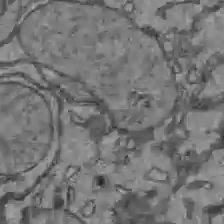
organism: C57BL Mouse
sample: Liver